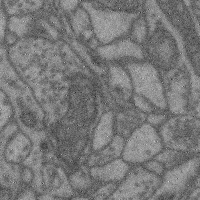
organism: Mouse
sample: Cerebral cortex